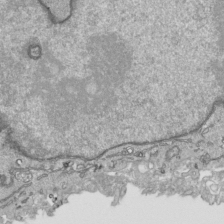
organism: Human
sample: Mitochondria in HCT116 cells